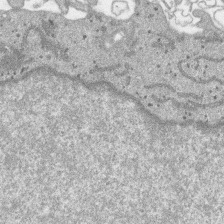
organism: Human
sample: Lung epithelial cells infected with SARS-CoV-2